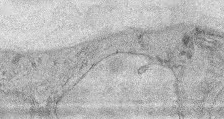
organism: Mouse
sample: Corneal nerves